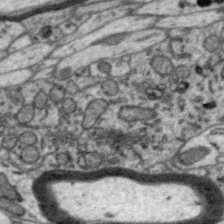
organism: Zebra finch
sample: Brain